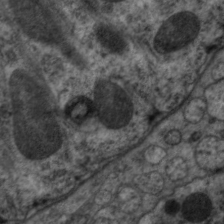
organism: C. elegans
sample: Pharynx